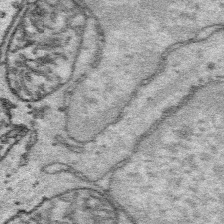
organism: Platynereis dumerilii